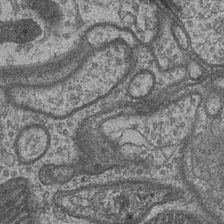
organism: Drosophila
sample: Optic medulla